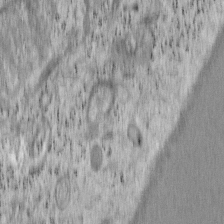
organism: Human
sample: HeLa cells